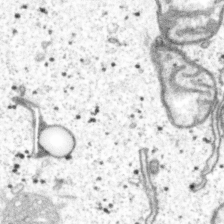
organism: Human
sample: HeLa cells